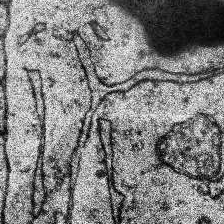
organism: Human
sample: Temporal Lobe